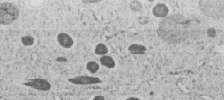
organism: C. elegans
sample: C. elegans embryo early stage